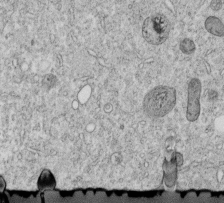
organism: C. elegans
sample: C. elegans embryo early stage